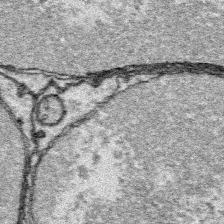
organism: Platynereis dumerilii